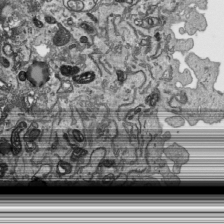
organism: Human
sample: Mitochondria in HCT116 cells